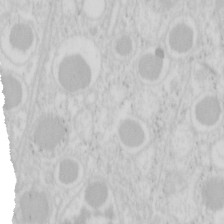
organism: Mouse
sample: Pancreas